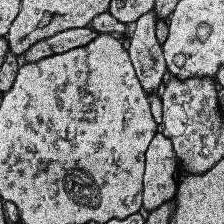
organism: Human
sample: Temporal Lobe